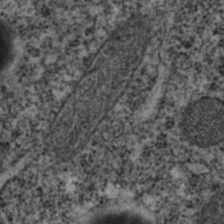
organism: C. elegans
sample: C. elegans embryo